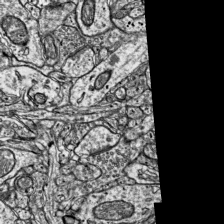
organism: Mouse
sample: Visual Cortex